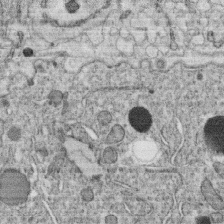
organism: C. elegans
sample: C. elegans oocyte; sperm cells